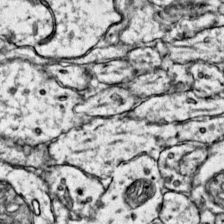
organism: Mouse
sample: Primary visual cortex